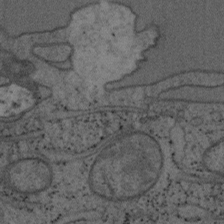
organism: Human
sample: HeLa cells